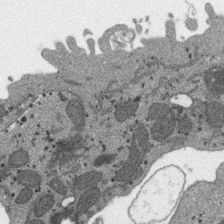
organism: Human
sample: Lung epithelial cells infected with SARS-CoV-2